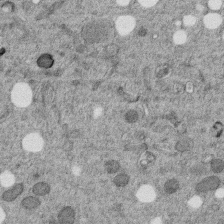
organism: C. elegans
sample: C. elegans embryo early stage